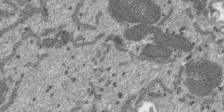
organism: Human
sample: Lung epithelial cells infected with SARS-CoV-2